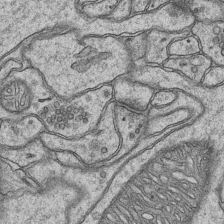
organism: Mouse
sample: CA1 Hippocampus